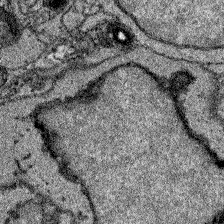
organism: Zebrafish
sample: Larval olfactory bulb